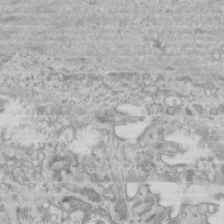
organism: Mouse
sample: Centriole in ependymal cells